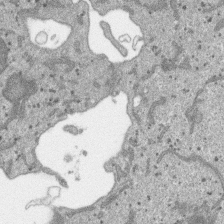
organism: Human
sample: Lung epithelial cells infected with SARS-CoV-2